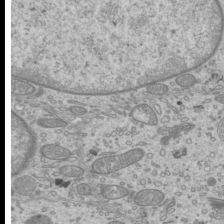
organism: Mouse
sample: Cilia; mouse epididymis